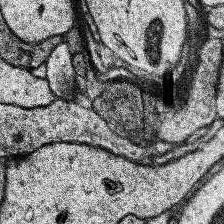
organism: Human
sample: Temporal Lobe